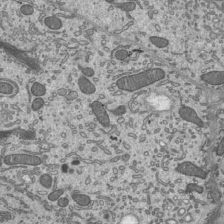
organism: Mouse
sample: Mouse epididymis efferent ductule cilia